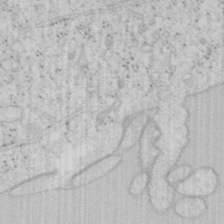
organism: Human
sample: HeLa cells